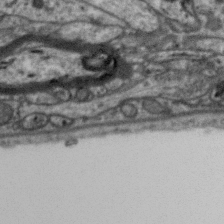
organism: Zebra finch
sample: Brain